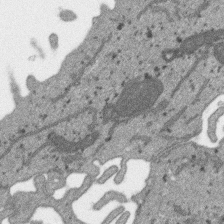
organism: Human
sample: Lung epithelial cells infected with SARS-CoV-2